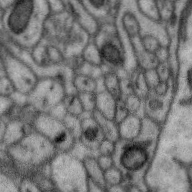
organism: Zebra finch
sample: Brain